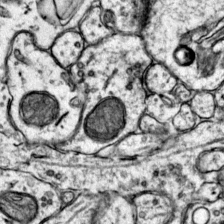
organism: Mouse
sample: Primary visual cortex